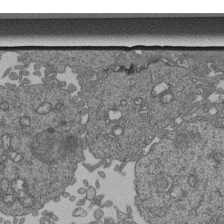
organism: Human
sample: Retinal organoid Rod and Cone cells